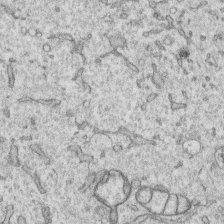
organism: Human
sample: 1205lu cells